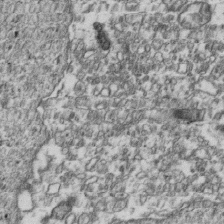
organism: Human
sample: Activated Jurkat CD4+ T cells